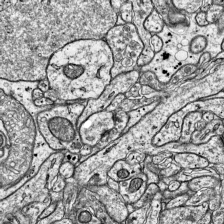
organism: Mouse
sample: Visual Cortex